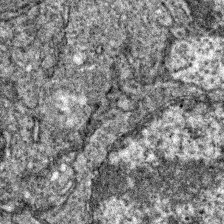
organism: Zebrafish